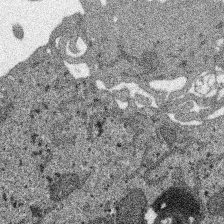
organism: Human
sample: Lung epithelial cells infected with SARS-CoV-2